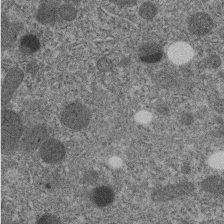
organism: C. elegans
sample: C. elegans embryo early stage